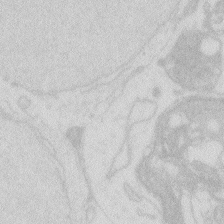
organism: Zebrafish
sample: Macrophage